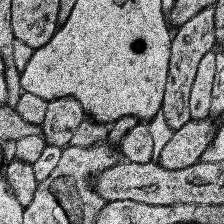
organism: Human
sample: Temporal Lobe